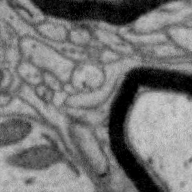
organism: Zebra finch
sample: Brain